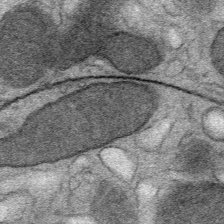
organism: Mouse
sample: Mouse Salivary gland